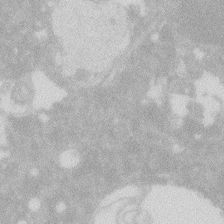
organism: Zebrafish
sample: Macrophage